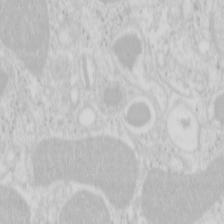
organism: Mouse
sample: Pancreas